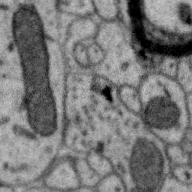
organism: Zebra finch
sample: Brain